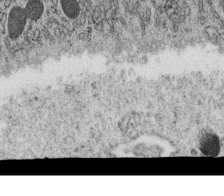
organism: C. elegans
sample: C. elegans oocyte; sperm cells